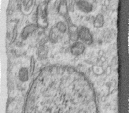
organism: Human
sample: Centriole in RPE cells